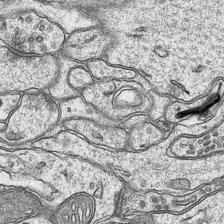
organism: Mouse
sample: CA1 Hippocampus